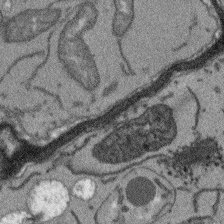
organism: Arabidopsis thaliana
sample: Root tip